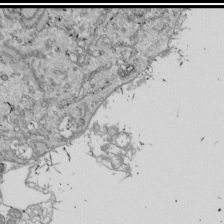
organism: Drosophila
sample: Cell division; meiosis; drosophila spermatocytes